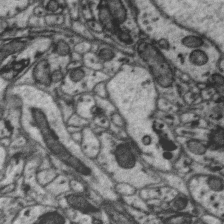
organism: Zebra finch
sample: Brain